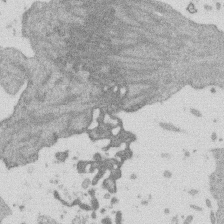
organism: Mouse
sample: Dividing mouse embryo 1 cell stage